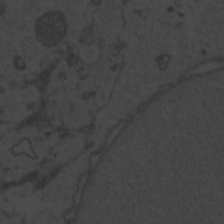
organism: Zebrafish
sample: Macrophage infected with Toxoplasma gondii